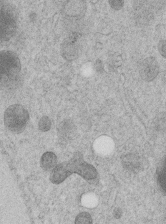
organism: C. elegans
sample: C. elegans embryo early stage